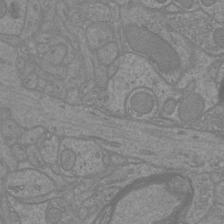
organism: Mouse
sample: Cortical neurons